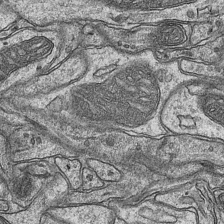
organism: Mouse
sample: CA1 Hippocampus